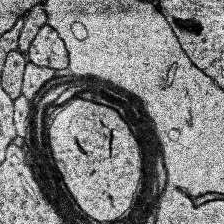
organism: Human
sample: Temporal Lobe